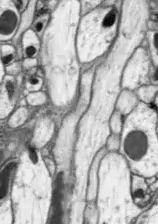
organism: Drosophila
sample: Optic lobe